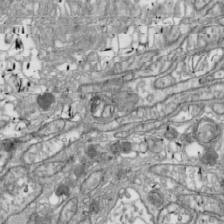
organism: Drosophila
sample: Cell division; meiosis; drosophila spermatocytes